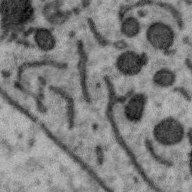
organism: Zebra finch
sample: Brain